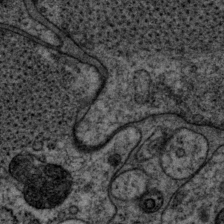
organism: P. pacificus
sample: Pharynx